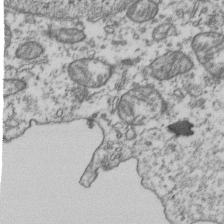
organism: Human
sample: Activated Jurkat CD4+ T cells